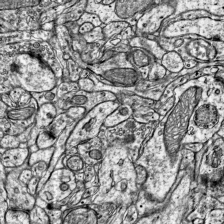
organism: Mouse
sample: Visual Cortex